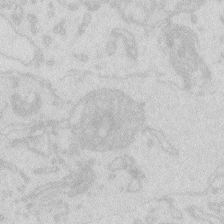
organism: Zebrafish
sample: Macrophage